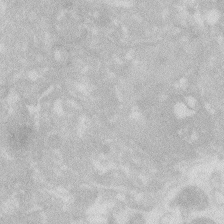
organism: Zebrafish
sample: Macrophage